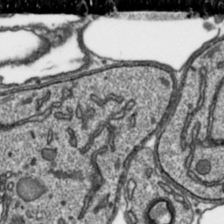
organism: Toxoplasma gondii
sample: Parasites in a vacuole inside a host cell